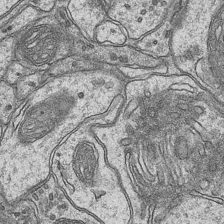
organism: Mouse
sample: CA1 Hippocampus